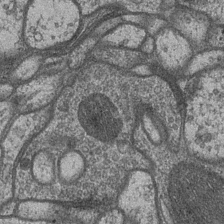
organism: Drosophila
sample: Optic medulla